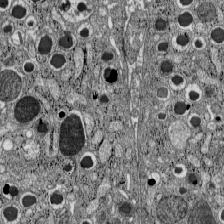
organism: C57BL Mouse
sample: Pancreatic islet